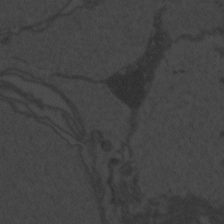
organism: Zebrafish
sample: Macrophage infected with Toxoplasma gondii